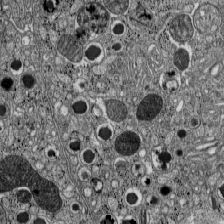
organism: C57BL Mouse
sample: Pancreatic islet